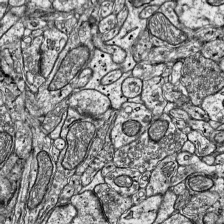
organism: Mouse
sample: Visual Cortex